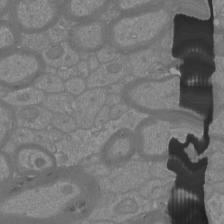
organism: Mouse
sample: Cortical neurons